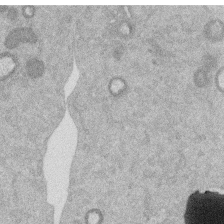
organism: Mouse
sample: Dividing mouse embryo 1 cell stage